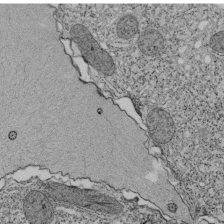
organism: Tetrahymena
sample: Cilia in tetrahymena